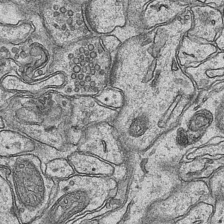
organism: Mouse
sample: CA1 Hippocampus